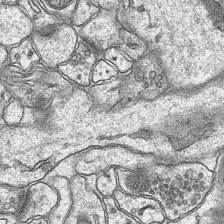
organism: Mouse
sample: CA1 Hippocampus